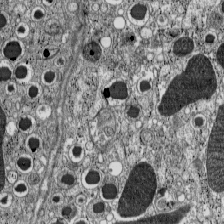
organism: C57BL Mouse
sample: Pancreatic islet